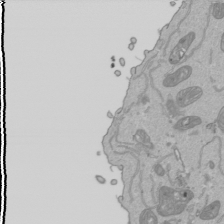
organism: Human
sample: Mitochondria in HCT116 cells